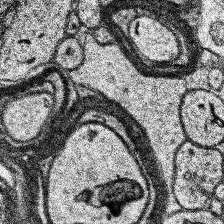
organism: Human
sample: Temporal Lobe